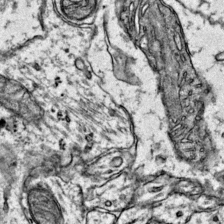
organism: Mouse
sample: Primary visual cortex